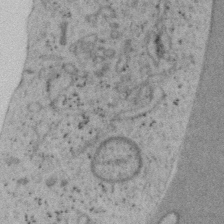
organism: Human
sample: HeLa cells